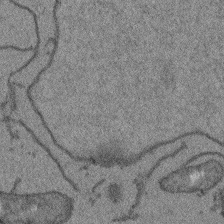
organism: Arabidopsis thaliana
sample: Root tip